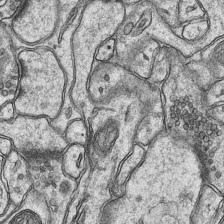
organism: Mouse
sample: CA1 Hippocampus